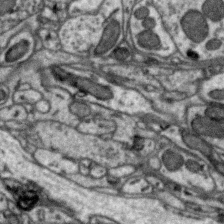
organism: Zebra finch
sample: Brain